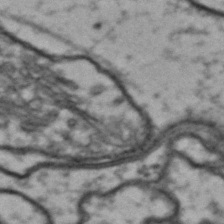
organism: Drosophila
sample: Brain